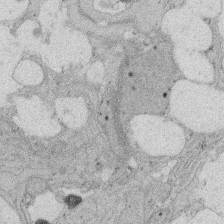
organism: Rat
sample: Salivary granule